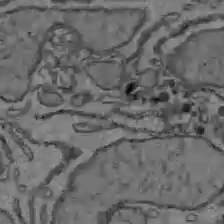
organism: C57BL Mouse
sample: Liver